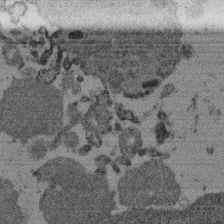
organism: Mouse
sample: Dividing mouse embryo 1 cell stage